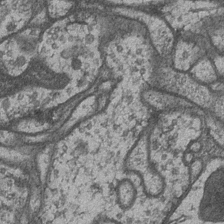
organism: Drosophila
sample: Optic medulla